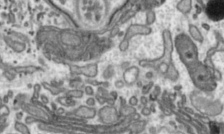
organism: Toxoplasma gondii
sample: Parasites in a vacuole inside a host cell